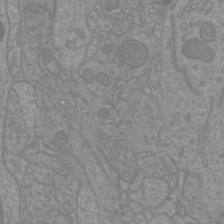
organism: Mouse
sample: Cortical neurons